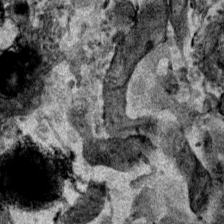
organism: Mouse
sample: Cancer cell death in ED-1 cells